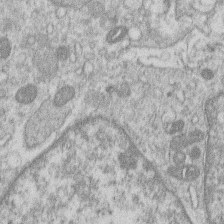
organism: Human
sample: Macrophage cells